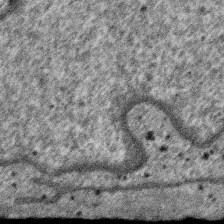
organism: Human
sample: Lung epithelial cells infected with SARS-CoV-2